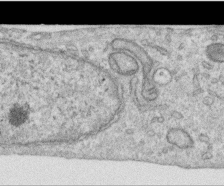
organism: Human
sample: Centriole in RPE cells